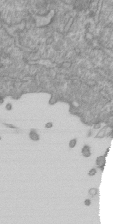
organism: Mouse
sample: ED-1 cell nuclei; centrioles